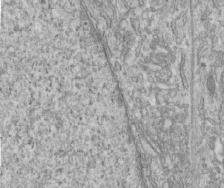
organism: Human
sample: Centriole in fibroblast cells